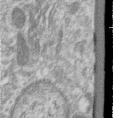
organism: Human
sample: Centriole in RPE cells